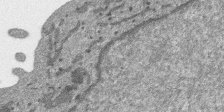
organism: Human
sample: Lung epithelial cells infected with SARS-CoV-2